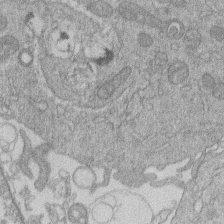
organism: Human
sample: Macrophage cells